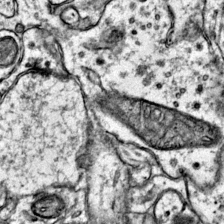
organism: Mouse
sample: Primary visual cortex